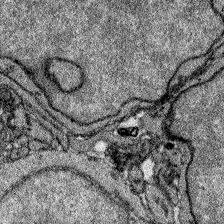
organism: Zebrafish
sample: Larval olfactory bulb